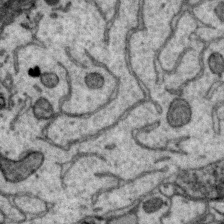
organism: Zebra finch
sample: Brain